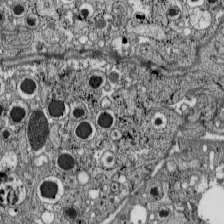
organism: C57BL Mouse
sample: Pancreatic islet